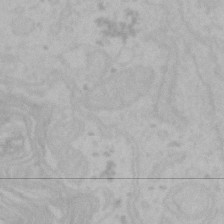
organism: Mouse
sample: Choroid plexus